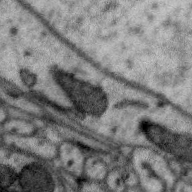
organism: Zebra finch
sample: Brain